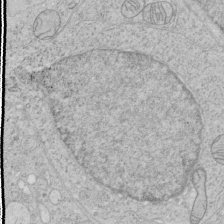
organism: Human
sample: Mitochondria in HCT116 cells